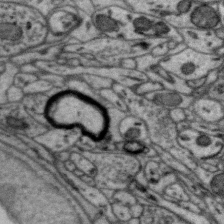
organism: Zebra finch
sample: Brain